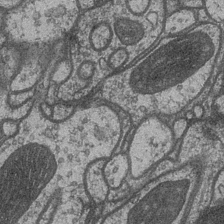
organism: Drosophila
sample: Optic medulla